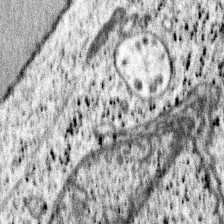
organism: Human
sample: HeLa cells